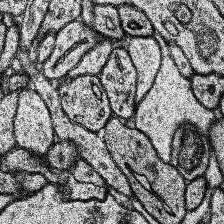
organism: Human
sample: Temporal Lobe